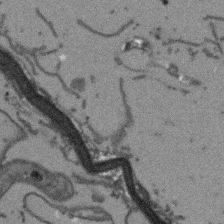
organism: Arabidopsis thaliana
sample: Root tip